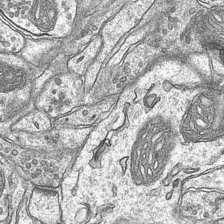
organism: Mouse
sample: CA1 Hippocampus